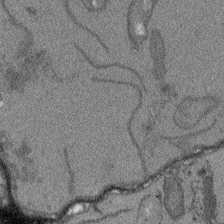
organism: Arabidopsis thaliana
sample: Root tip